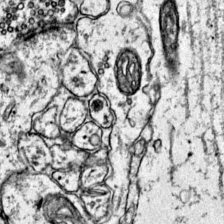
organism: Mouse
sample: Primary visual cortex